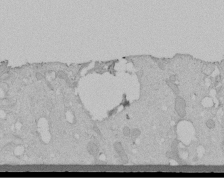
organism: Human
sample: Melanocyte Keratinocyte synapse skin construct